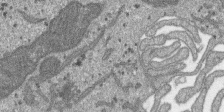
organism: Human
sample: Lung epithelial cells infected with SARS-CoV-2